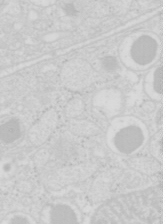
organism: Mouse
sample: Pancreas